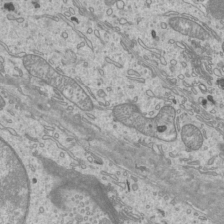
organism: Mouse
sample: Cilia; mouse epididymis